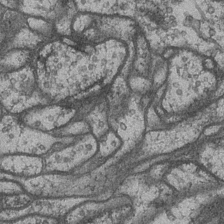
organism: Drosophila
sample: Optic medulla